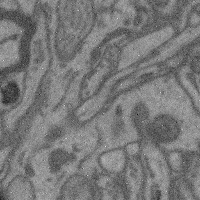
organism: Mouse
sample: Cerebral cortex